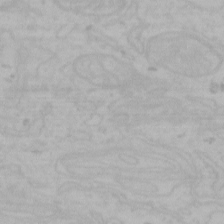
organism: Mouse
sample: Choroid plexus